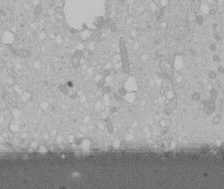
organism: Human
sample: Melanocyte Keratinocyte synapse skin construct